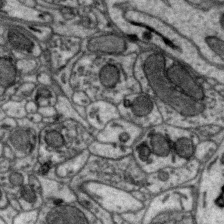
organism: Zebra finch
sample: Brain